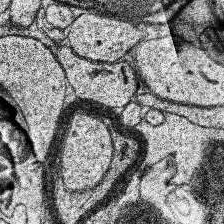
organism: Human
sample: Temporal Lobe